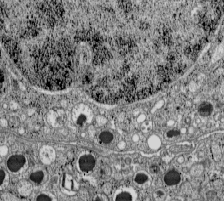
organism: C57BL Mouse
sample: Pancreatic islet